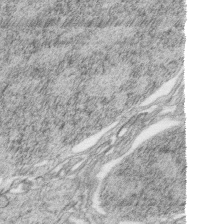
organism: Zebrafish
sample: synaptic ribbons in rod cells and cone cells